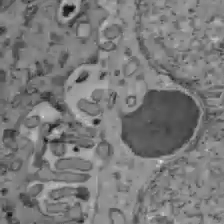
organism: C57BL Mouse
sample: Liver